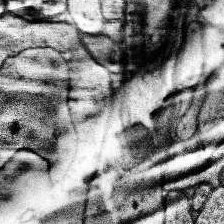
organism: Human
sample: Temporal Lobe